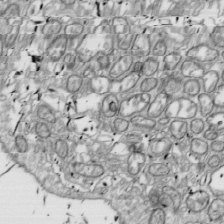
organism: Drosophila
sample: Cell division; meiosis; drosophila spermatocytes